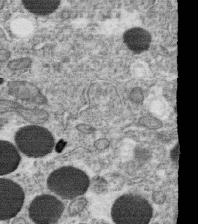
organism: C. elegans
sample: C. elegans oocyte; sperm cells